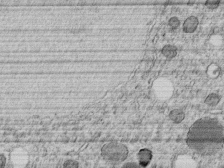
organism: C. elegans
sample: C. elegans embryo early stage